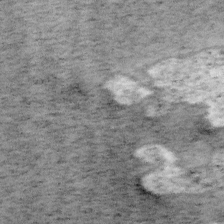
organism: Mouse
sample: OT-I killer T cells with ID8 ovarian cancer cells